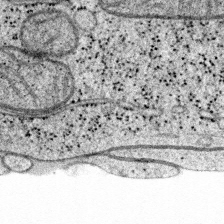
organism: Human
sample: HeLa cells